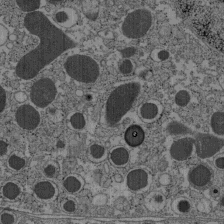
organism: C57BL Mouse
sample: Pancreatic islet